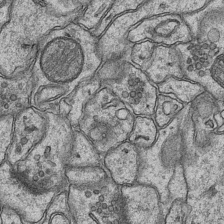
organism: Mouse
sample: CA1 Hippocampus